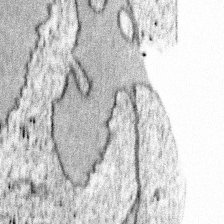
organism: Human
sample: HeLa cells